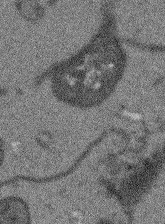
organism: Arabidopsis thaliana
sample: Root tip